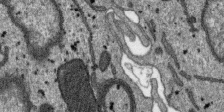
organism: Human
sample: Lung epithelial cells, uninfected (mock) control